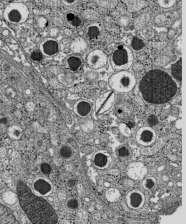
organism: C57BL Mouse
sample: Pancreatic islet